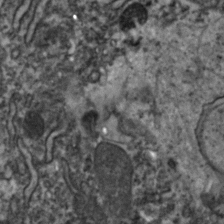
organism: Zebrafish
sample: Zebrafish embryo